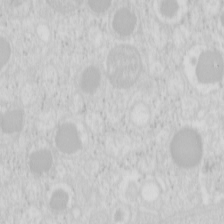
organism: Mouse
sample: Pancreas